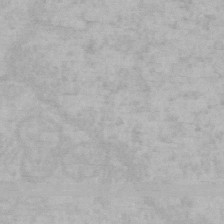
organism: Mouse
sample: Choroid plexus